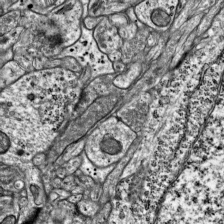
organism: Mouse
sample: Visual Cortex